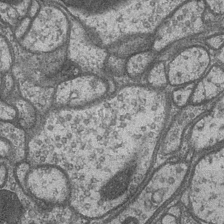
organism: Drosophila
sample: Optic medulla